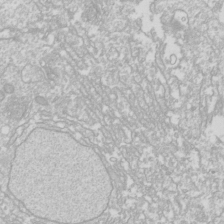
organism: Drosophila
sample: Cell division; meiosis; drosophila spermatocytes